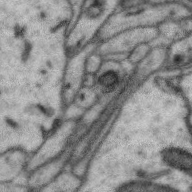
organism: Zebra finch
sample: Brain